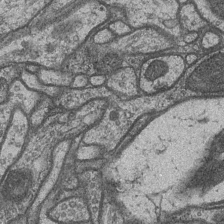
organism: Drosophila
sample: Optic medulla